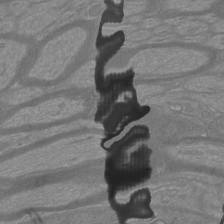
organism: Mouse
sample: Cortical neurons